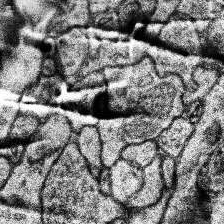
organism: Human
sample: Temporal Lobe